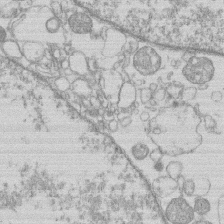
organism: Human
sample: Macrophage cells